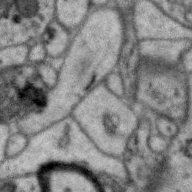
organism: Zebra finch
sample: Brain